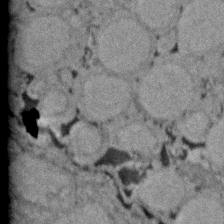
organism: Zebrafish